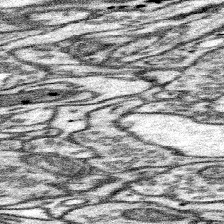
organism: Mouse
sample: Somatosensory cortex neuropil